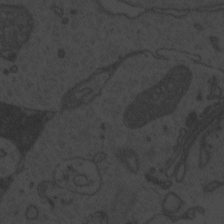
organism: Zebrafish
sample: Macrophage infected with Toxoplasma gondii